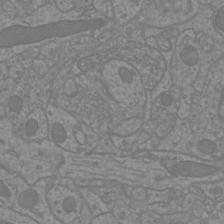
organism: Mouse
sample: Cortical neurons